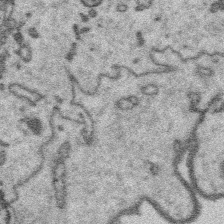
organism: Platynereis dumerilii